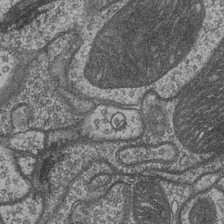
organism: Drosophila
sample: Optic medulla